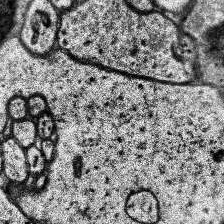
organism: Human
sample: Temporal Lobe